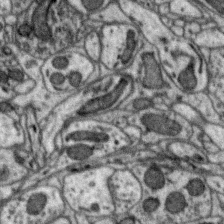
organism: Zebra finch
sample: Brain